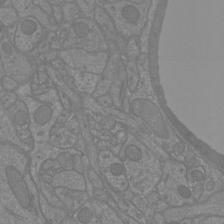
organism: Mouse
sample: Cortical neurons